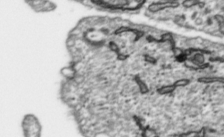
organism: Toxoplasma gondii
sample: Parasites in a vacuole inside a host cell